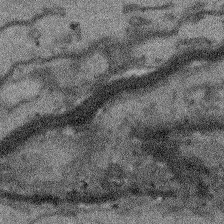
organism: Arabidopsis thaliana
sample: Root tip